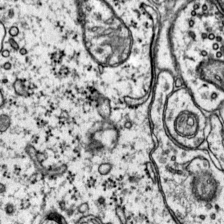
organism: Mouse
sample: Primary visual cortex